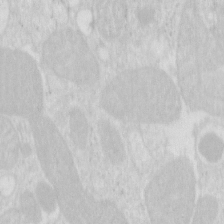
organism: Mouse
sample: Pancreas